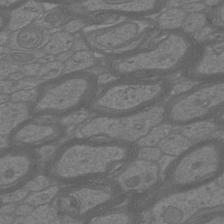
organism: Mouse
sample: Cortical neurons